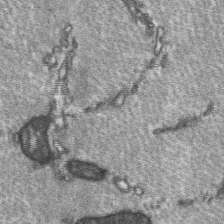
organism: C57BL Mouse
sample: Soleus